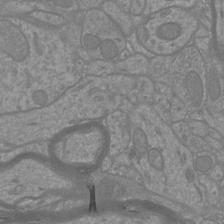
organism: Mouse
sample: Cortical neurons